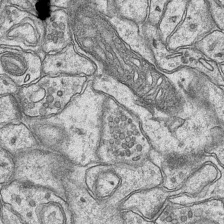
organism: Mouse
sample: CA1 Hippocampus